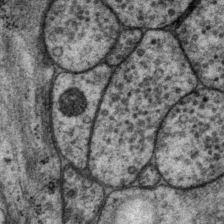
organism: P. pacificus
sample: Pharynx